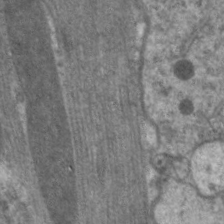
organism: C. elegans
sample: Pharynx